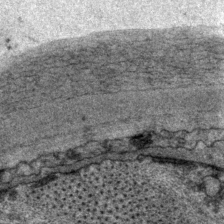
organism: P. pacificus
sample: Pharynx